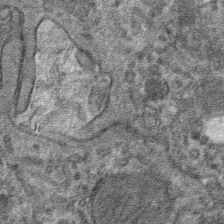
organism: Mouse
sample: Mouse hepatocytes